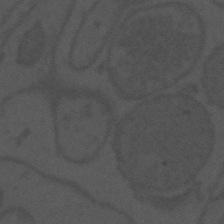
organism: Mouse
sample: Suprachiasmatic nucleus